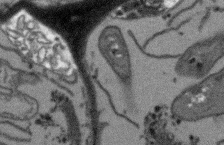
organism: Arabidopsis thaliana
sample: Root tip